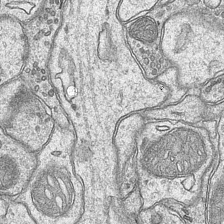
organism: Mouse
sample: CA1 Hippocampus